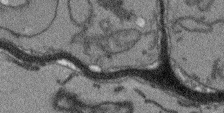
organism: Arabidopsis thaliana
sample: Root tip